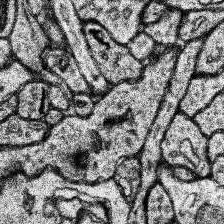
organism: Human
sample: Temporal Lobe